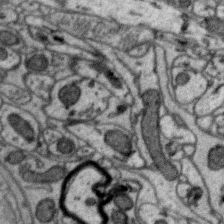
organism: Zebra finch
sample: Brain